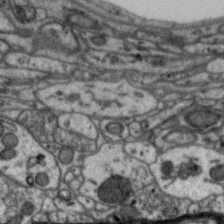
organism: Zebra finch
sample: Brain